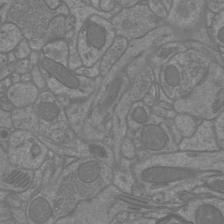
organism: Mouse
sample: Cortical neurons